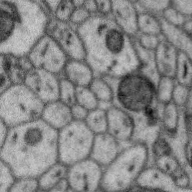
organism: Zebra finch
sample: Brain